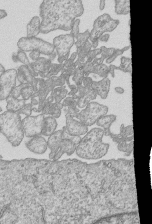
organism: Human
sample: MDA-MB-231 cells